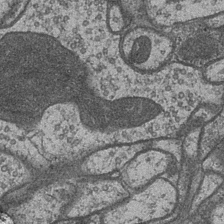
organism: Drosophila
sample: Optic medulla